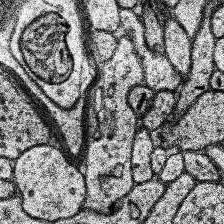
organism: Human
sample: Temporal Lobe